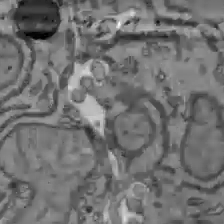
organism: C57BL Mouse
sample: Liver